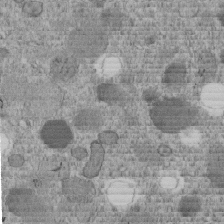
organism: C. elegans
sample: C. elegans embryo early stage